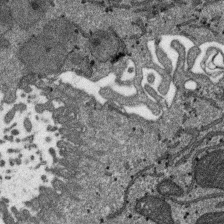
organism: Human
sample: Lung epithelial cells infected with SARS-CoV-2